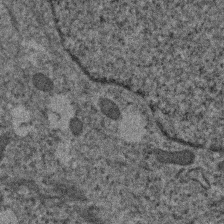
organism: Human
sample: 1205lu cells